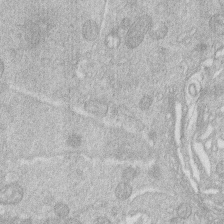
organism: Human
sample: Macrophage cells